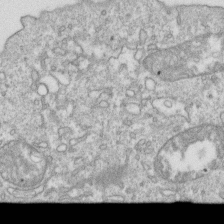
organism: Mouse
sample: Activated OT-1 CD8+ T cells